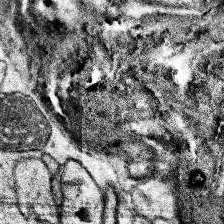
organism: Human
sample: Temporal Lobe